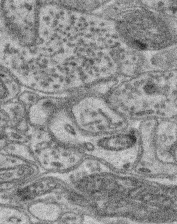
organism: Mouse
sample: Retina